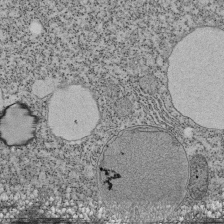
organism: Tetrahymena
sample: Cilia in tetrahymena